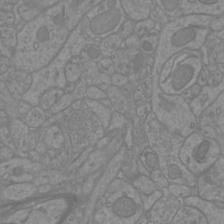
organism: Mouse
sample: Cortical neurons